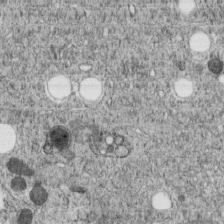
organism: C. elegans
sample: C. elegans embryo early stage